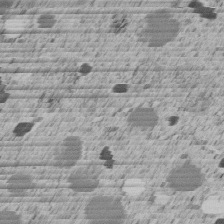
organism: C. elegans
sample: C. elegans embryo early stage